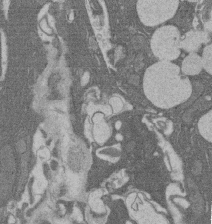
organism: Rat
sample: Salivary granule